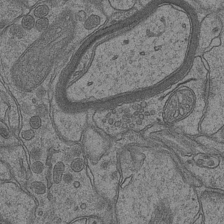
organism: Mouse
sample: CA1 Hippocampus